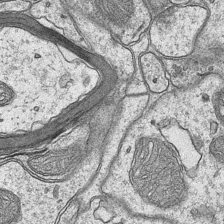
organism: Mouse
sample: CA1 Hippocampus